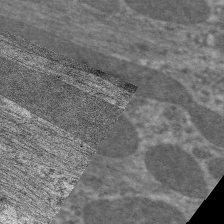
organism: C. elegans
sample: Pharynx